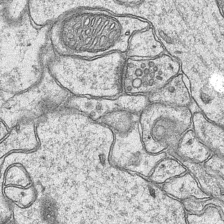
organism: Mouse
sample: CA1 Hippocampus